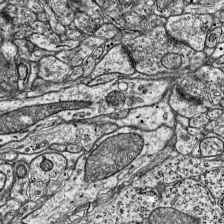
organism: Mouse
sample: Visual Cortex